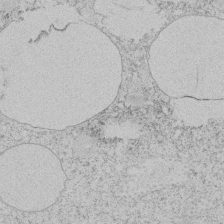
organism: Tetrahymena